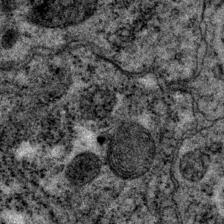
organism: P. pacificus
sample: Pharynx